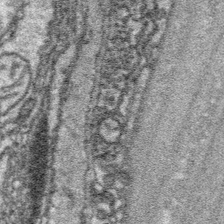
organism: Platynereis dumerilii